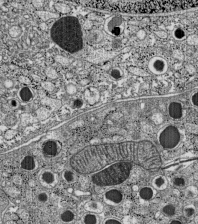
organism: C57BL Mouse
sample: Pancreatic islet